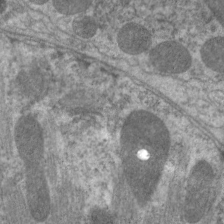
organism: C. elegans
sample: Pharynx